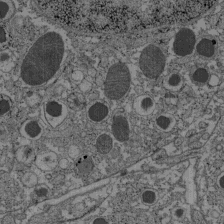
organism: C57BL Mouse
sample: Pancreatic islet